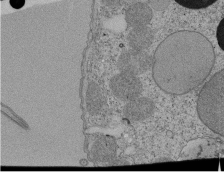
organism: Tetrahymena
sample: Cilia in tetrahymena